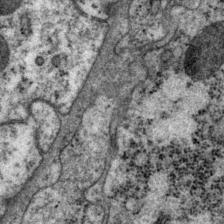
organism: P. pacificus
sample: Pharynx